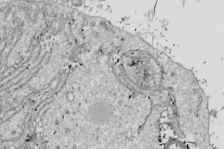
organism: Drosophila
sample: Cell division; meiosis; drosophila spermatocytes